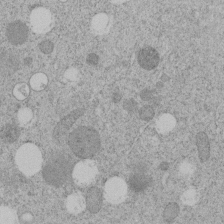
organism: C. elegans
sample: C. elegans embryo early stage